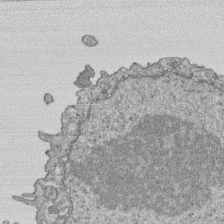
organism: Human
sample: HeLa cell HIV synapse